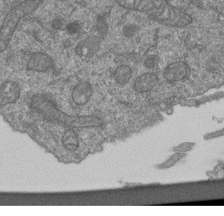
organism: Human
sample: Retinal organoid Rod and Cone cells